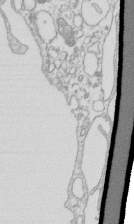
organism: Mouse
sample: Macrophages